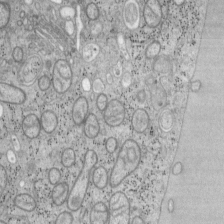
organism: Mouse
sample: OT-I killer T cells with ID8 ovarian cancer cells